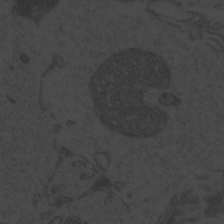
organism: Zebrafish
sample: Macrophage infected with Toxoplasma gondii